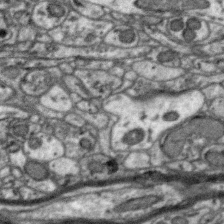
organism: Zebra finch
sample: Brain